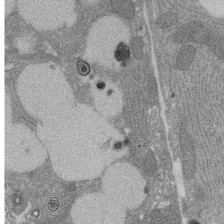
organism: Rat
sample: Salivary granule